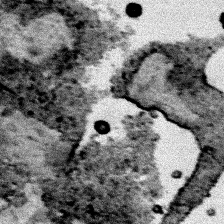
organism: Human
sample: Mitochondria in HCT116 cells